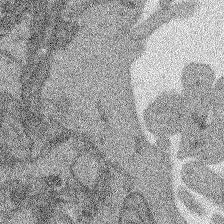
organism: Human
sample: HeLa cells